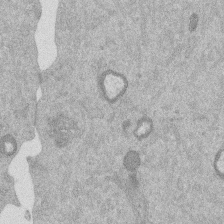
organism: Mouse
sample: Dividing mouse embryo 1 cell stage